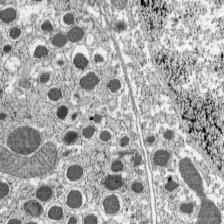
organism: C57BL Mouse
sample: Pancreatic islet